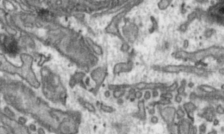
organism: Toxoplasma gondii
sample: Parasites in a vacuole inside a host cell